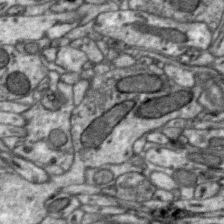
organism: Zebra finch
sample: Brain